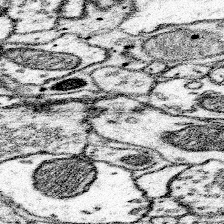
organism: Mouse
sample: Somatosensory cortex neuropil